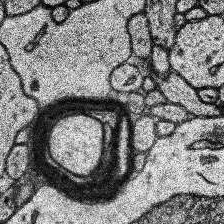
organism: Human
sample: Temporal Lobe